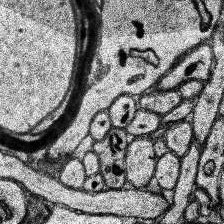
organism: Human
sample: Temporal Lobe